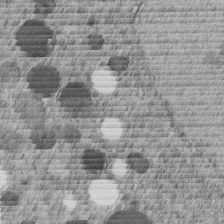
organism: C. elegans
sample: C. elegans embryo early stage